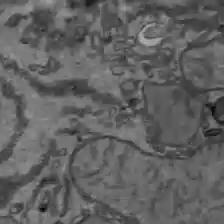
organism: C57BL Mouse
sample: Liver